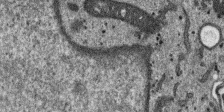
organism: Human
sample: Lung epithelial cells infected with SARS-CoV-2